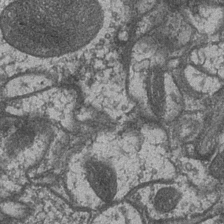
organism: Drosophila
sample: Optic medulla